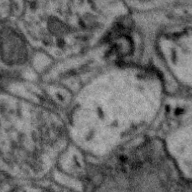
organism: Zebra finch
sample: Brain